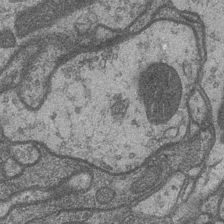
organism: Drosophila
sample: Optic medulla